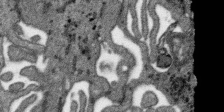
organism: Human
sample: Lung epithelial cells, uninfected (mock) control